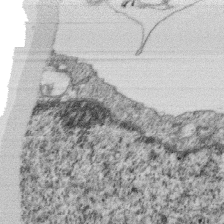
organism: African green monkey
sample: Vero E6 cells infected with SARS-CoV-2